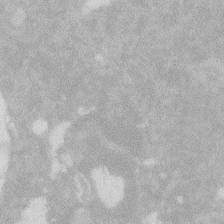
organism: Zebrafish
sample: Macrophage